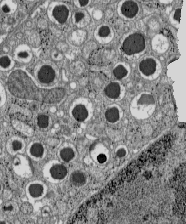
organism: C57BL Mouse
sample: Pancreatic islet